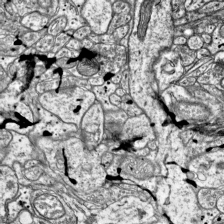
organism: Mouse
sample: Visual Cortex